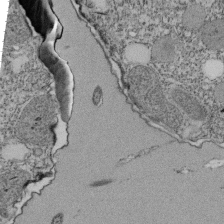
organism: Tetrahymena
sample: Cilia in tetrahymena